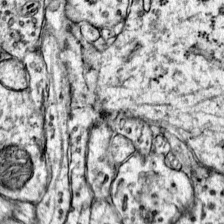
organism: Mouse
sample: Primary visual cortex